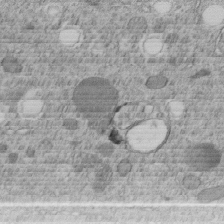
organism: C. elegans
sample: C. elegans embryo early stage